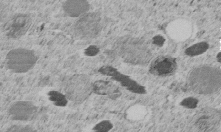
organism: C. elegans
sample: C. elegans embryo early stage